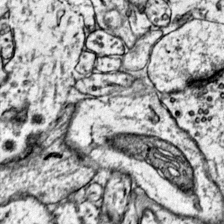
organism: Mouse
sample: Primary visual cortex